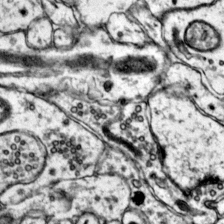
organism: Mouse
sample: Primary visual cortex